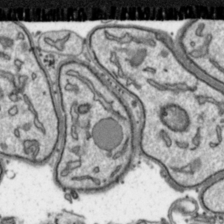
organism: Toxoplasma gondii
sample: Parasites in a vacuole inside a host cell